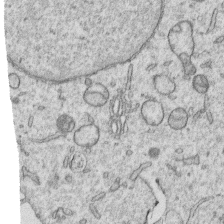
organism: Human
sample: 1205lu cells